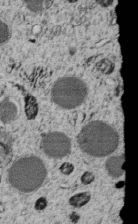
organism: C. elegans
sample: C. elegans embryo early stage